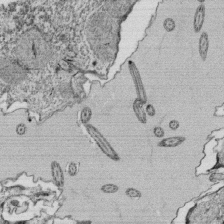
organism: Tetrahymena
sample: Cilia in tetrahymena